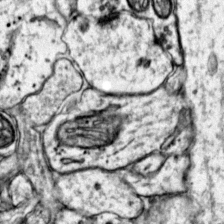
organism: Mouse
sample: Primary visual cortex